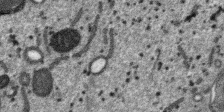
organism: Human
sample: Lung epithelial cells infected with SARS-CoV-2